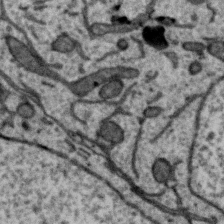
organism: Zebra finch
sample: Brain